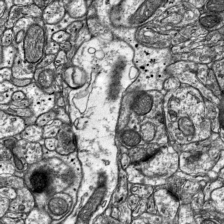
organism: Mouse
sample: Visual Cortex